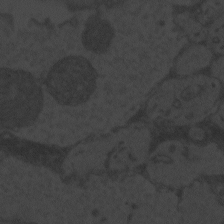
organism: Zebrafish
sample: Macrophage infected with Toxoplasma gondii